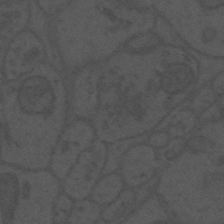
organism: Mouse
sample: Suprachiasmatic nucleus